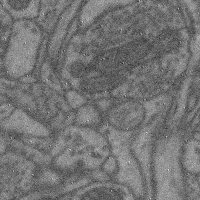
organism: Mouse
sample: Cerebral cortex